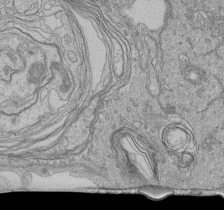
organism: Human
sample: Retinal organoid Rod and Cone cells